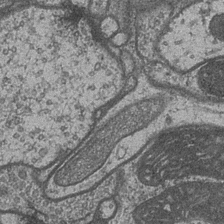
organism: Drosophila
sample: Optic medulla